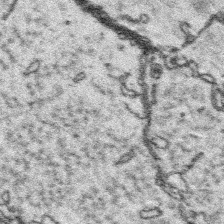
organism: Platynereis dumerilii